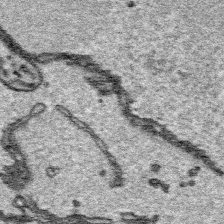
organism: Platynereis dumerilii